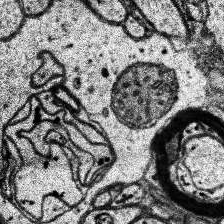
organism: Human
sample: Temporal Lobe